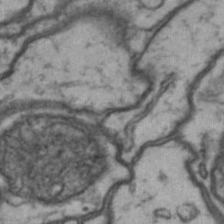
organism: Drosophila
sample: Brain